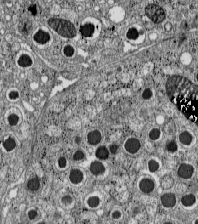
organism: C57BL Mouse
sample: Pancreatic islet